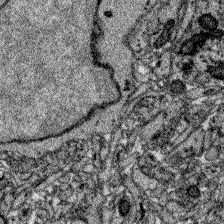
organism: Zebrafish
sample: Larval olfactory bulb